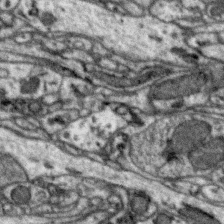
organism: Zebra finch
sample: Brain